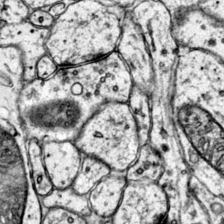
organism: Mouse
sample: Primary visual cortex